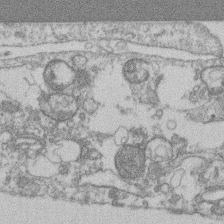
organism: Mouse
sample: T cell stromal cell synapse